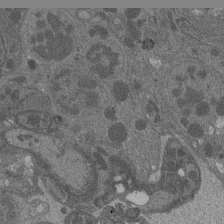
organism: Drosophila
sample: Antenna